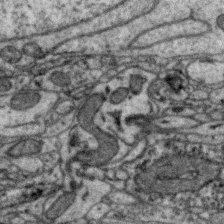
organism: Zebra finch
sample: Brain